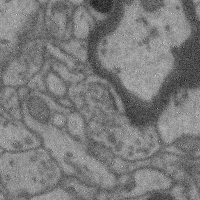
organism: Mouse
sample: Cerebral cortex